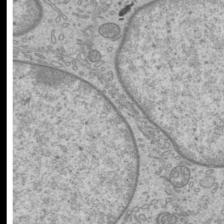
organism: Mouse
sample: Cilia; mouse epididymis